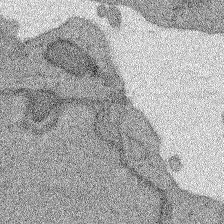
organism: Human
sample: HeLa cells